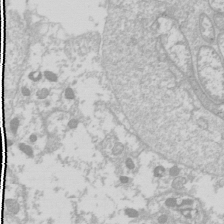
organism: Drosophila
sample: Cell division; meiosis; drosophila spermatocytes